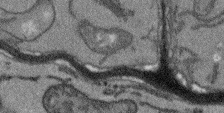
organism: Arabidopsis thaliana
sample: Root tip